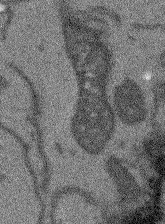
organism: Arabidopsis thaliana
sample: Root tip